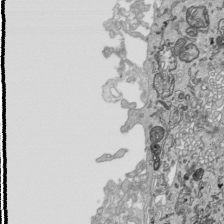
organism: Human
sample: Mitochondria in HCT116 cells